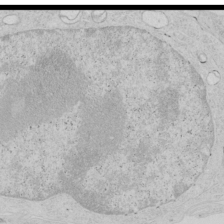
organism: Human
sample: Mitochondria in HCT116 cells